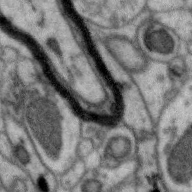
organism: Zebra finch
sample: Brain